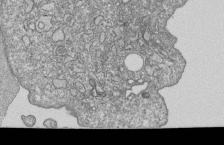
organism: Human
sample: MDA-MB-231 cells